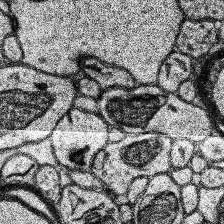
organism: Human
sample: Temporal Lobe